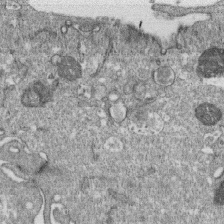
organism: African green monkey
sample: Vero E6 cells infected with SARS-CoV-2